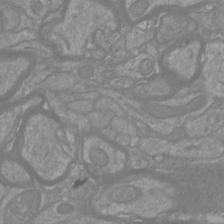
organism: Mouse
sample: Cortical neurons